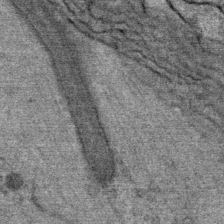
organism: Mouse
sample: Mouse Salivary gland